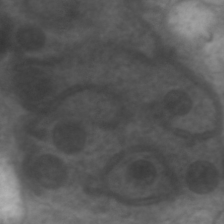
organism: C. elegans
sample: Pharynx